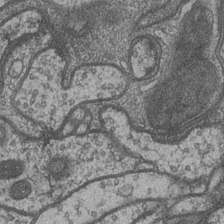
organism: Drosophila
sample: Optic medulla